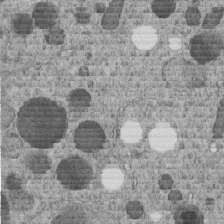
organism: C. elegans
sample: C. elegans embryo early stage